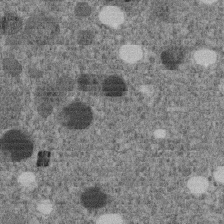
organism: C. elegans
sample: C. elegans embryo early stage